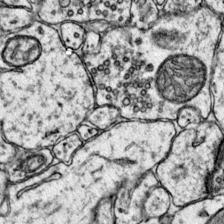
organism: Mouse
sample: Primary visual cortex